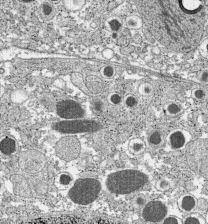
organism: C57BL Mouse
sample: Pancreatic islet